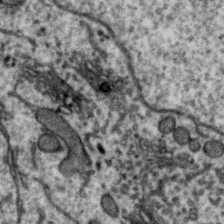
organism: Zebra finch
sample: Brain